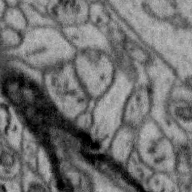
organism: Zebra finch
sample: Brain